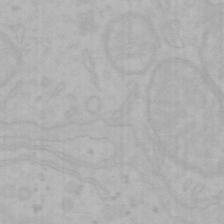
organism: Mouse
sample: Choroid plexus